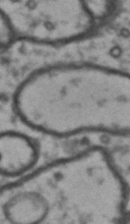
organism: Drosophila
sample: Brain